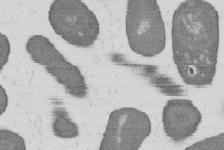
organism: B. subtilis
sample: Bacterial spore